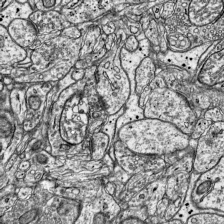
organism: Mouse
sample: Visual Cortex